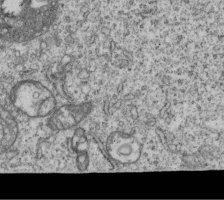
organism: Human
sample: MDA-MB-231 cells